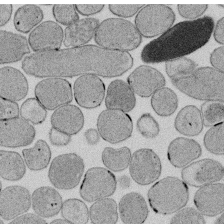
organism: E. coli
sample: Bacterial nucleoid